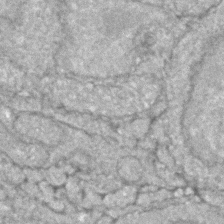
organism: Zebrafish